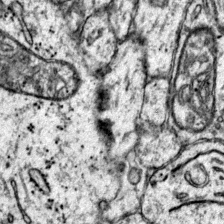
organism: Mouse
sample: Primary visual cortex